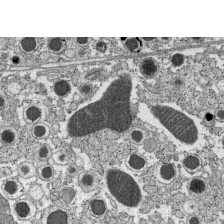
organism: C57BL Mouse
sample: Pancreatic islet